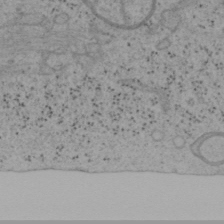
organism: Human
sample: HeLa cells